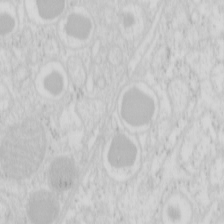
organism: Mouse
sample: Pancreas